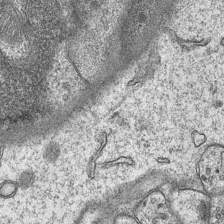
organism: Mouse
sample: CA1 Hippocampus